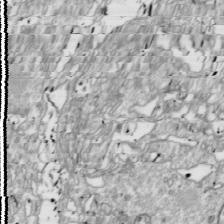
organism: Drosophila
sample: Cell division; meiosis; drosophila spermatocytes